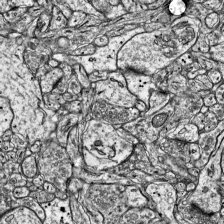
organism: Mouse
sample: Visual Cortex